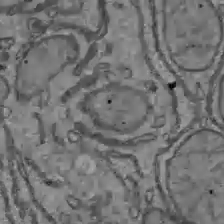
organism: C57BL Mouse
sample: Liver